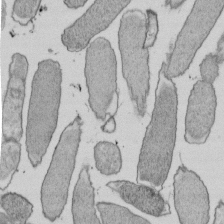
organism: E. coli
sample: Bacterial nucleoid